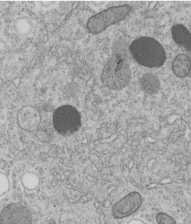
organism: C. elegans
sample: C. elegans embryo early stage